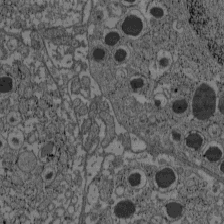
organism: C57BL Mouse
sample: Pancreatic islet